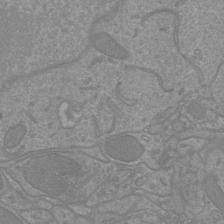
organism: Mouse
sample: Cortical neurons